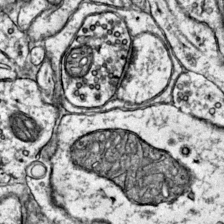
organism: Mouse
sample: Primary visual cortex